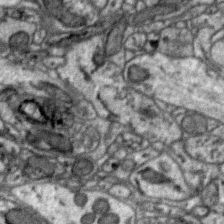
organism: Zebra finch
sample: Brain